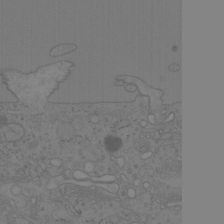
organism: Human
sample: HeLa cells